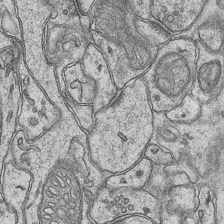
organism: Mouse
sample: CA1 Hippocampus